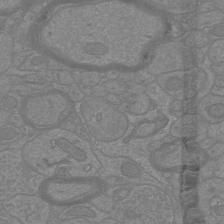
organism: Mouse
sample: Cortical neurons